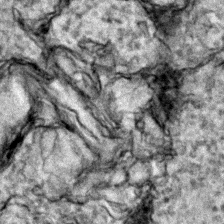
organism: Zebrafish